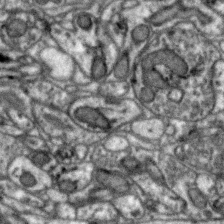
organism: Zebra finch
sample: Brain